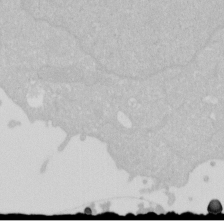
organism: Human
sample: HIV infected U937 cells